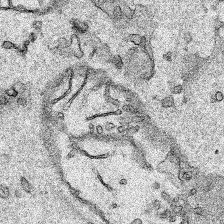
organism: Human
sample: Mitochondria in HCT116 cells